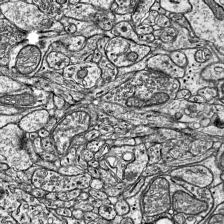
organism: Mouse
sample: Visual Cortex